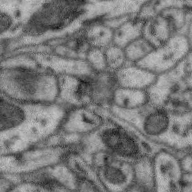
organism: Zebra finch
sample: Brain